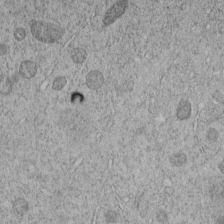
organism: C. elegans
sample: C. elegans embryo early stage